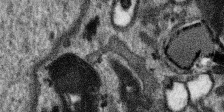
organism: Human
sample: Lung epithelial cells infected with SARS-CoV-2